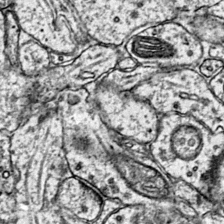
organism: Mouse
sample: Primary visual cortex